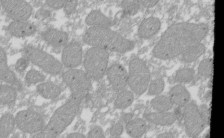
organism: Xenopus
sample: Cilia; centrioles in frog embryo cells